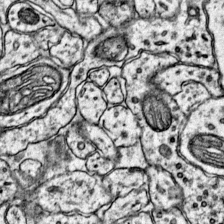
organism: Mouse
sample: Primary visual cortex